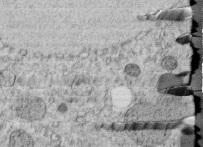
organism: C. elegans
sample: C. elegans embryo early stage